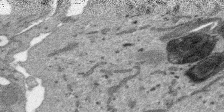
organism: Human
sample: Lung epithelial cells infected with SARS-CoV-2